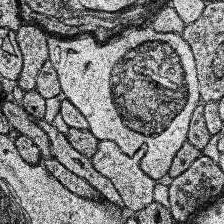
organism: Human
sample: Temporal Lobe